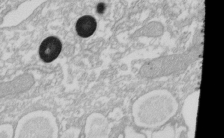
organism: Xenopus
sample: Cilia; centrioles in frog embryo cells